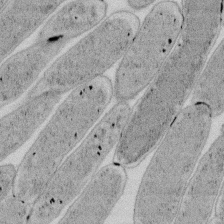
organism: E. coli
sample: Bacterial nucleoid